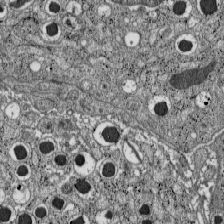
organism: C57BL Mouse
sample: Pancreatic islet